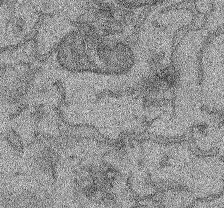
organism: Human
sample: HeLa cells